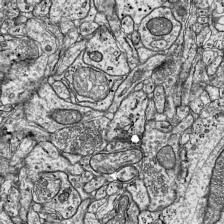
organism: Mouse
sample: Visual Cortex